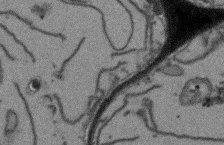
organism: Arabidopsis thaliana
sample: Root tip